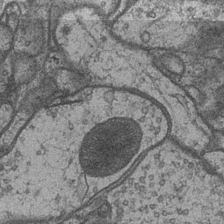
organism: Drosophila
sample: Optic medulla